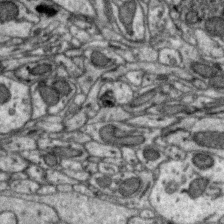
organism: Zebra finch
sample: Brain